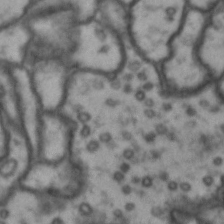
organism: Drosophila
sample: Brain